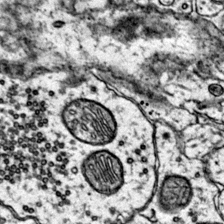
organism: Mouse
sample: Primary visual cortex